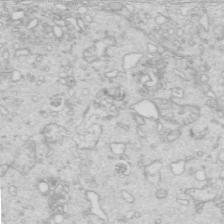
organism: Mouse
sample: Multiciliated cells